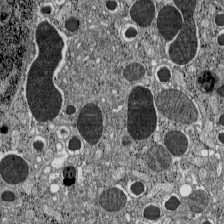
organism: C57BL Mouse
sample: Pancreatic islet